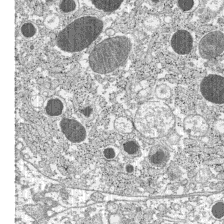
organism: C57BL Mouse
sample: Pancreatic islet